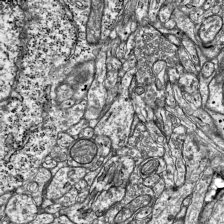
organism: Mouse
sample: Visual Cortex